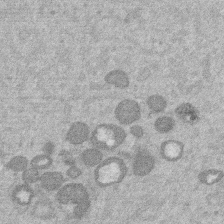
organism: Mouse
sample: Dividing mouse embryo 1 cell stage